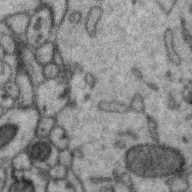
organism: Zebra finch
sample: Brain